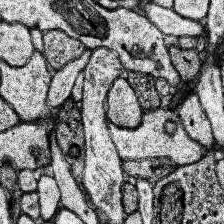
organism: Human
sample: Temporal Lobe